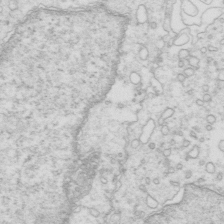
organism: Mouse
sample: Multiciliated cells